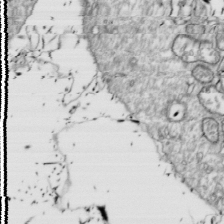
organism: Drosophila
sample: Cell division; meiosis; drosophila spermatocytes